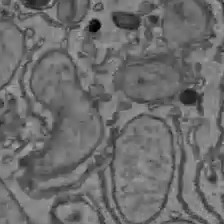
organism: C57BL Mouse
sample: Liver